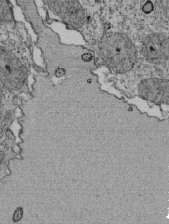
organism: Tetrahymena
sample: Cilia in tetrahymena